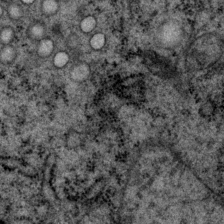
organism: P. pacificus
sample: Pharynx